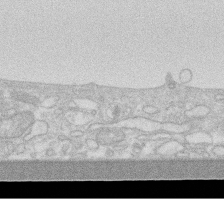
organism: Human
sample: Fibroblast cells